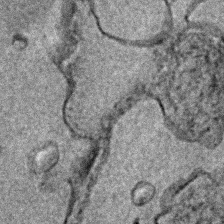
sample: Trachea